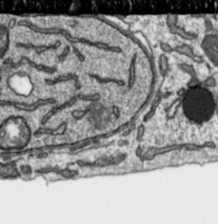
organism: Toxoplasma gondii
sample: Parasites in a vacuole inside a host cell